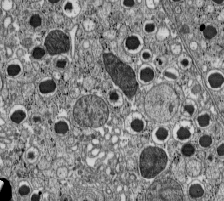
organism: C57BL Mouse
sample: Pancreatic islet